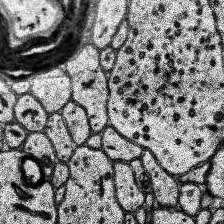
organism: Human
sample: Temporal Lobe